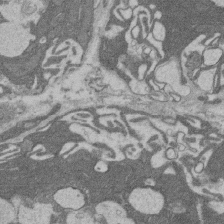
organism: Rat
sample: Salivary granule